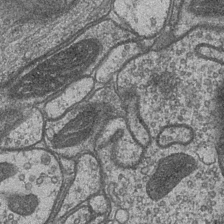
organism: Drosophila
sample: Optic medulla